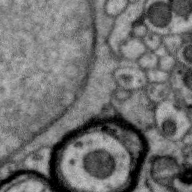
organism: Zebra finch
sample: Brain